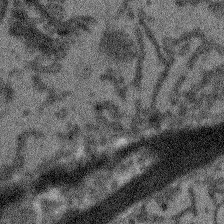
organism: Arabidopsis thaliana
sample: Root tip